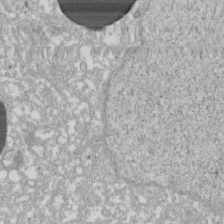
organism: Xenopus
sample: Cilia; centrioles in frog embryo cells